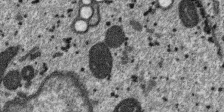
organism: Human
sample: Lung epithelial cells infected with SARS-CoV-2